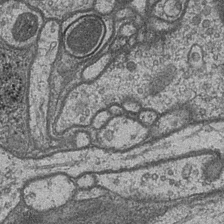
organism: Drosophila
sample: Optic medulla